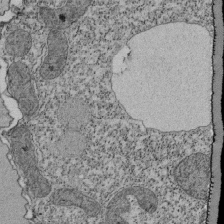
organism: Tetrahymena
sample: Cilia in tetrahymena